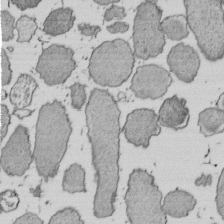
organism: E. coli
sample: Bacterial nucleoid